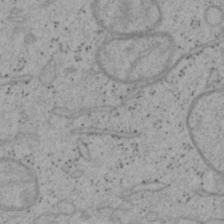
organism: Human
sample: HeLa cells